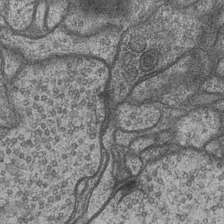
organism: Drosophila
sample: Optic medulla